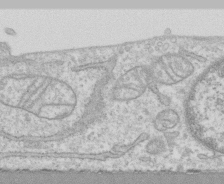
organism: Human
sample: CRL-1474